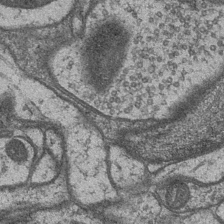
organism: Drosophila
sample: Optic medulla